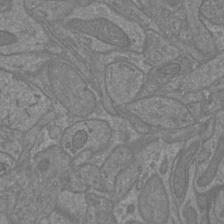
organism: Mouse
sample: Cortical neurons